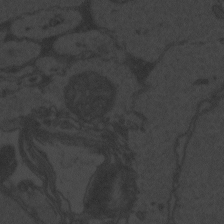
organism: Zebrafish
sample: Macrophage infected with Toxoplasma gondii